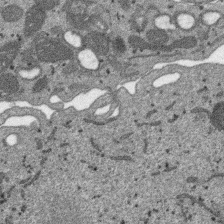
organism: Human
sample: Lung epithelial cells infected with SARS-CoV-2